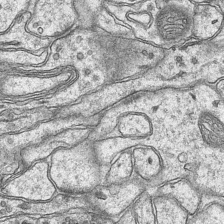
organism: Mouse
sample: CA1 Hippocampus